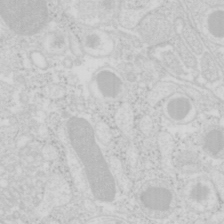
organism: Mouse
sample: Pancreas